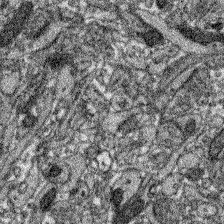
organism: Zebrafish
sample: Larval olfactory bulb